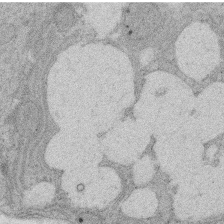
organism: Rat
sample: Salivary granule